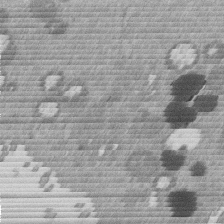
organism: Mouse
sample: Dividing mouse embryo 1 cell stage